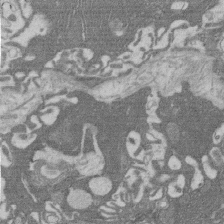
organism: Rat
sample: Salivary granule